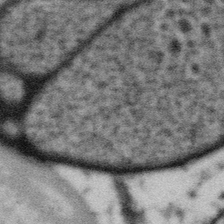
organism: Gemmata obscuriglobus